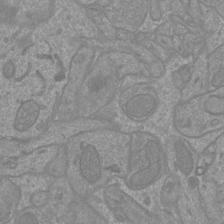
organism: Mouse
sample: Cortical neurons